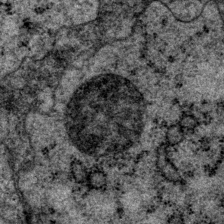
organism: P. pacificus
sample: Pharynx